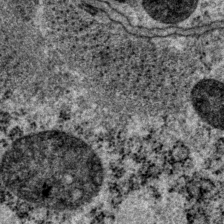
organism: P. pacificus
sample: Pharynx